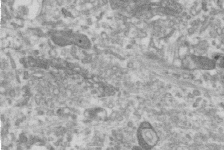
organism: Human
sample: Centriole in RPE cells